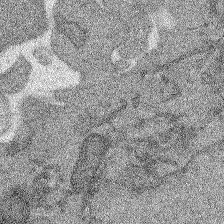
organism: Human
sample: HeLa cells